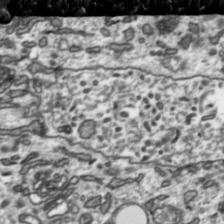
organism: Toxoplasma gondii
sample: Parasites in a vacuole inside a host cell